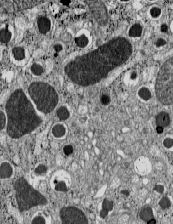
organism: C57BL Mouse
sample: Pancreatic islet